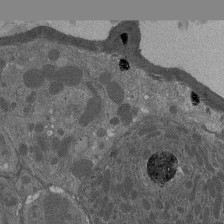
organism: Drosophila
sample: Antenna